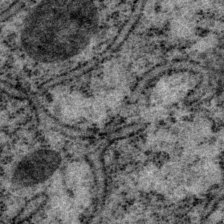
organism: P. pacificus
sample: Pharynx